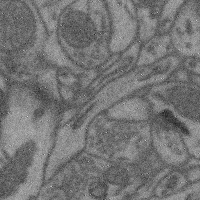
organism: Mouse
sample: Cerebral cortex